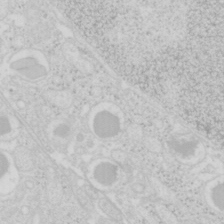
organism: Mouse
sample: Pancreas